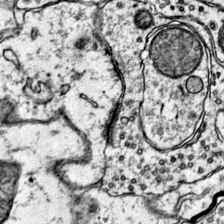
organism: Mouse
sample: Primary visual cortex